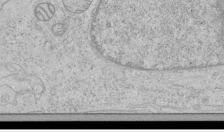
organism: Human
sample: Mitochondria in HCT116 cells